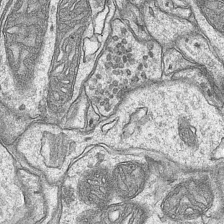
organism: Mouse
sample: CA1 Hippocampus